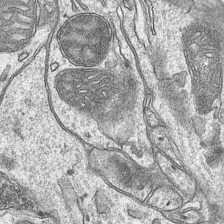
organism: Mouse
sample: CA1 Hippocampus